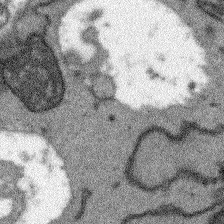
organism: Arabidopsis thaliana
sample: Root tip